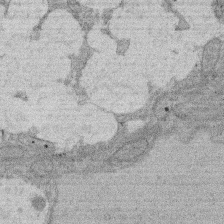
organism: Rat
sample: Salivary granule